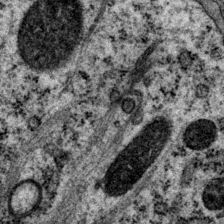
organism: P. pacificus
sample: Pharynx